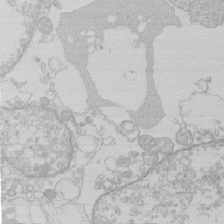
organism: Human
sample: Macrophage cells